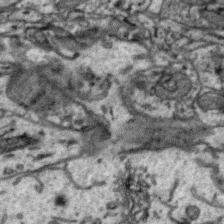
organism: Zebra finch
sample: Brain